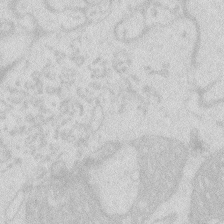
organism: Zebrafish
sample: Macrophage